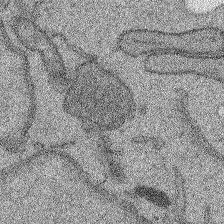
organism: Human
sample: HeLa cells